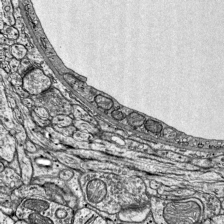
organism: Mouse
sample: Visual Cortex